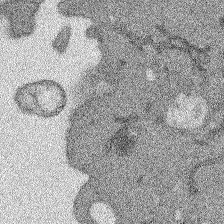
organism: Human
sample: HeLa cells